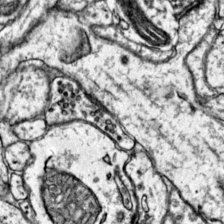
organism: Mouse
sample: Primary visual cortex